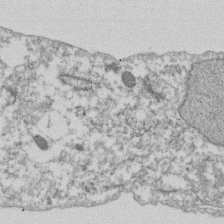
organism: Dictyostelium discoideum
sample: Dictyostelium multivesicular bodies